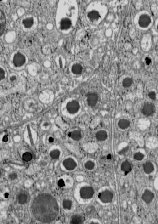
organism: C57BL Mouse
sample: Pancreatic islet